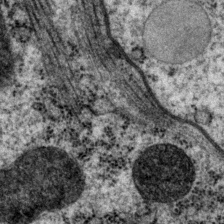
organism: P. pacificus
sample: Pharynx